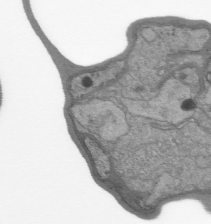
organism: Plasmodium falciparum